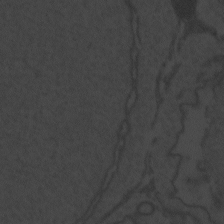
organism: Zebrafish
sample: Macrophage infected with Toxoplasma gondii